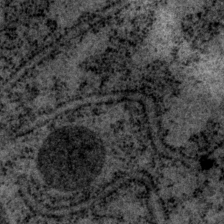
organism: P. pacificus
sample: Pharynx